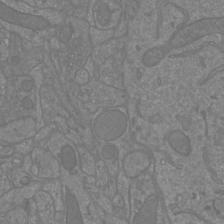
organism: Mouse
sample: Cortical neurons